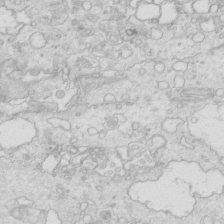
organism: Mouse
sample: Multiciliated cells